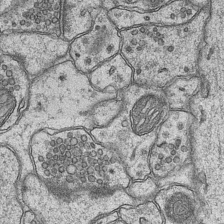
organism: Mouse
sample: CA1 Hippocampus